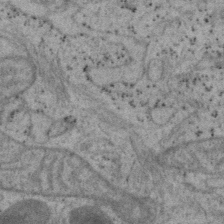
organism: Human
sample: HeLa cells